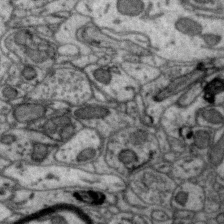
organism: Zebra finch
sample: Brain